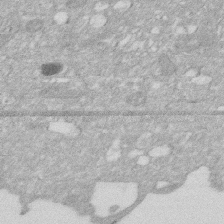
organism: Human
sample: HIV infected U937 cells